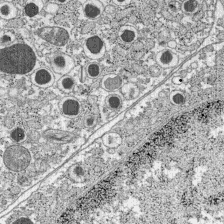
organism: C57BL Mouse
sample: Pancreatic islet